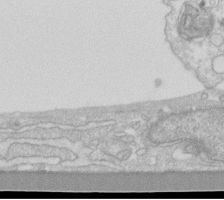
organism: Human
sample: Fibroblast cells